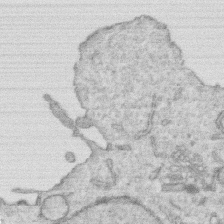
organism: Human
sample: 1205lu cells